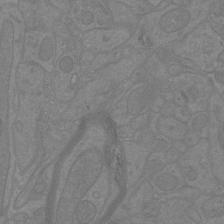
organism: Mouse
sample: Cortical neurons